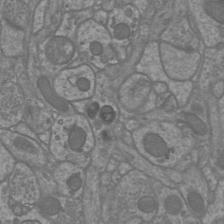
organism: Mouse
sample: Cortical neurons